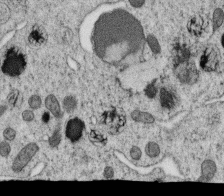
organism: C. elegans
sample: C. elegans oocyte; sperm cells